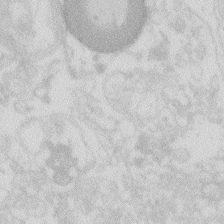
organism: Zebrafish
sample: Macrophage